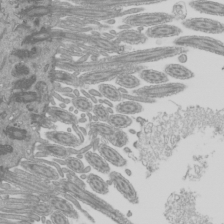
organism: Mouse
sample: Cilia; mouse epididymis